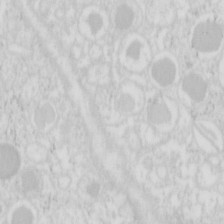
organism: Mouse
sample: Pancreas